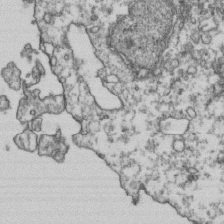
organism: Human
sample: Activated Jurkat CD4+ T cells